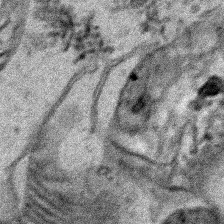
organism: Human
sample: Mitochondria in HCT116 cells